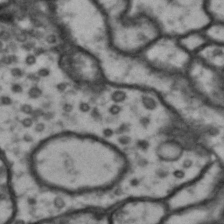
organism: Drosophila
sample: Brain